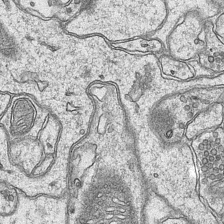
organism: Mouse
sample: CA1 Hippocampus